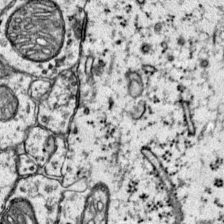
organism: Mouse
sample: Primary visual cortex